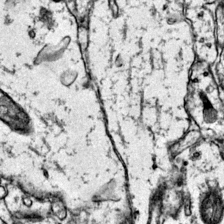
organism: Mouse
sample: Primary visual cortex